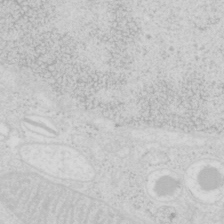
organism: Mouse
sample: Pancreas